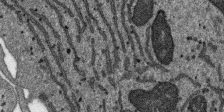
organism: Human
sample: Lung epithelial cells infected with SARS-CoV-2